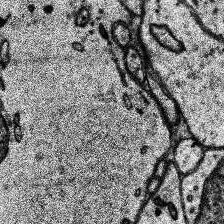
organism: Human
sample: Temporal Lobe